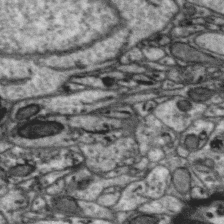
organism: Zebra finch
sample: Brain